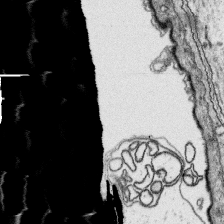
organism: Platynereis dumerilii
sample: Parapodia